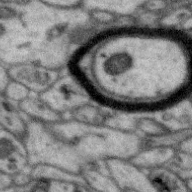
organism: Zebra finch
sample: Brain